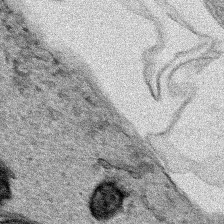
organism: Human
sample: Mitochondria in HCT116 cells